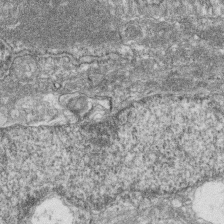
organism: Zebrafish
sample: Cilia; retinal pigment epithelium